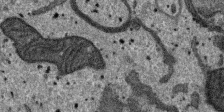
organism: Human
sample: Lung epithelial cells, uninfected (mock) control